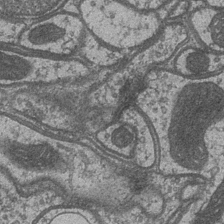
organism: Drosophila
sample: Optic medulla